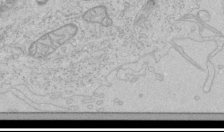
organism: Human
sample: Mitochondria in HCT116 cells